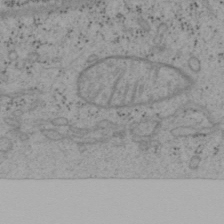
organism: Human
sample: HeLa cells